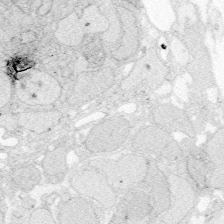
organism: Zebrafish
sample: Whole-Brain